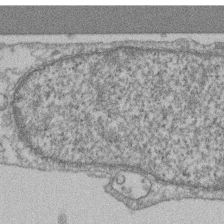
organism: Mouse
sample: T cell stromal cell synapse